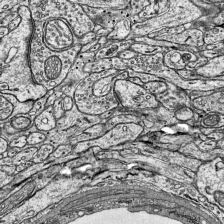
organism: Mouse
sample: Visual Cortex